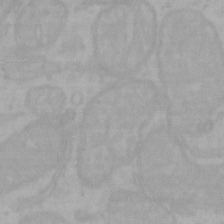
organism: Mouse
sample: Choroid plexus